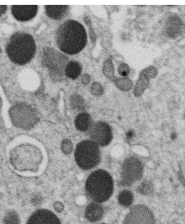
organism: C. elegans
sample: C. elegans oocyte; sperm cells